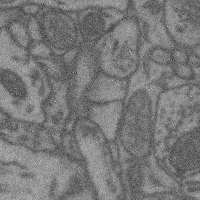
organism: Mouse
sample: Cerebral cortex